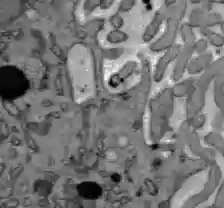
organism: C57BL Mouse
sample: Liver